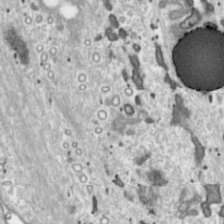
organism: Toxoplasma gondii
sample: Parasites in a vacuole inside a host cell